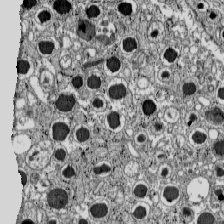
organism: C57BL Mouse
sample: Pancreatic islet